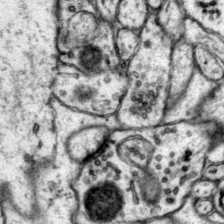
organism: Mouse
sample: Primary visual cortex